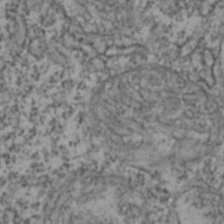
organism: Zebrafish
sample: Zebrafish embryo